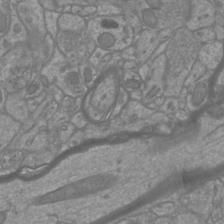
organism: Mouse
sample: Cortical neurons